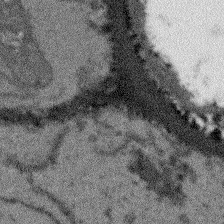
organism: Arabidopsis thaliana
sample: Root tip